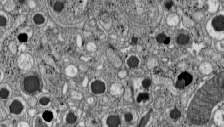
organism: C57BL Mouse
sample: Pancreatic islet